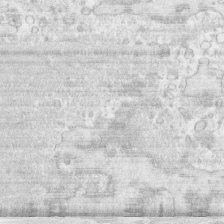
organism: Human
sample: CRL-1474